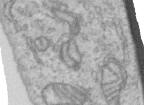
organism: Human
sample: Centriole in RPE cells